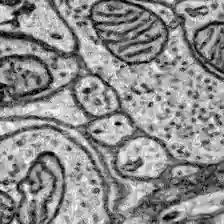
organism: Zebrafish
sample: Brain